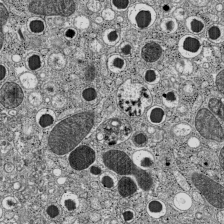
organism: C57BL Mouse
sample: Pancreatic islet